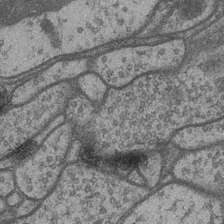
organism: Drosophila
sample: Optic medulla